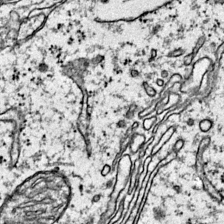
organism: Mouse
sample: Primary visual cortex